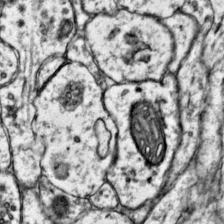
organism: Mouse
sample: Primary visual cortex